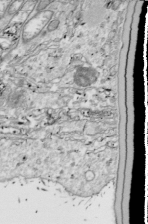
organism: Drosophila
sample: Cell division; meiosis; drosophila spermatocytes